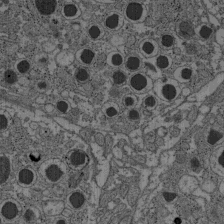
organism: C57BL Mouse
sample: Pancreatic islet